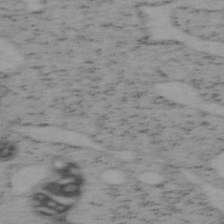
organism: Mouse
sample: OT-I killer T cells with ID8 ovarian cancer cells